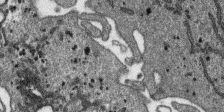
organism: Human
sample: Lung epithelial cells infected with SARS-CoV-2